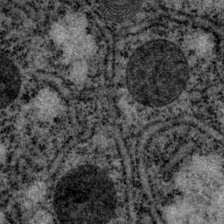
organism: P. pacificus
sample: Pharynx